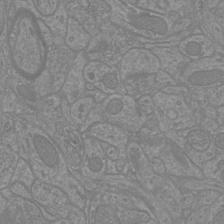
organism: Mouse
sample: Cortical neurons